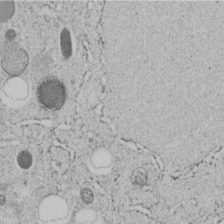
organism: C. elegans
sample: C. elegans embryo early stage